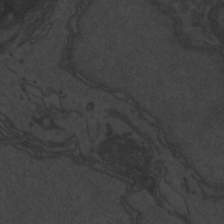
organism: Zebrafish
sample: Macrophage infected with Toxoplasma gondii